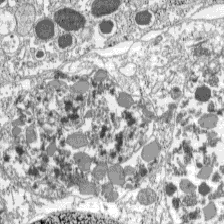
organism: C57BL Mouse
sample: Pancreatic islet